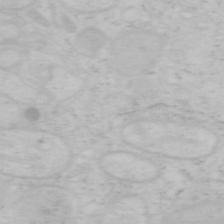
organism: Mouse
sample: OT-I killer T cells with ID8 ovarian cancer cells